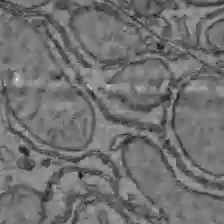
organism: C57BL Mouse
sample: Liver